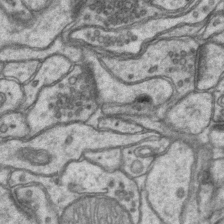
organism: Mouse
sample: CA1 Hippocampus